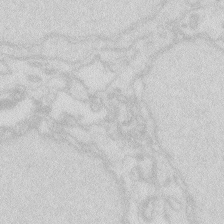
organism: Zebrafish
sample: Macrophage